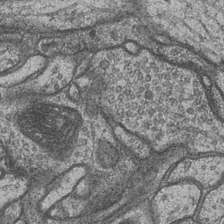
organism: Drosophila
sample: Optic medulla